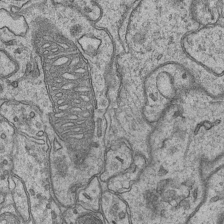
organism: Mouse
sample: CA1 Hippocampus